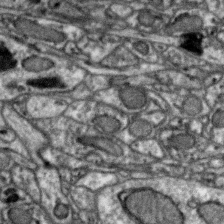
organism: Zebra finch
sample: Brain